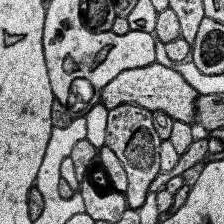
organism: Human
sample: Temporal Lobe